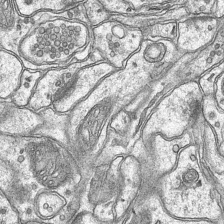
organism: Mouse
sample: CA1 Hippocampus